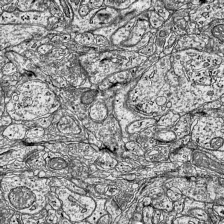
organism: Mouse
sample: Visual Cortex